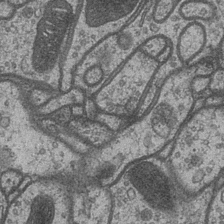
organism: Drosophila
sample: Optic medulla